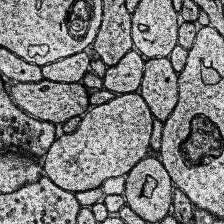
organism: Human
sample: Temporal Lobe